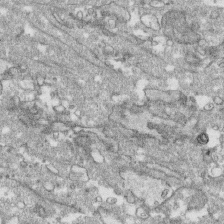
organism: Human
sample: CRL-1474